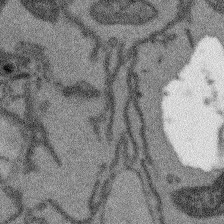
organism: Arabidopsis thaliana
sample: Root tip